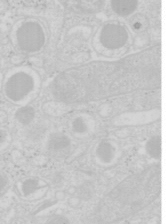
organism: Mouse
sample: Pancreas